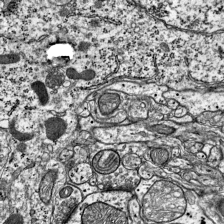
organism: Mouse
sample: Visual Cortex